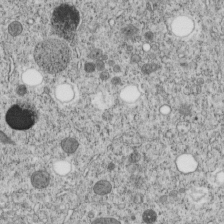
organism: C. elegans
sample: C. elegans embryo early stage